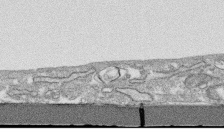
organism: Human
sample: CRL-1474